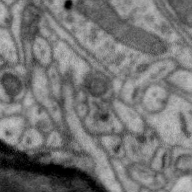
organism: Zebra finch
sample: Brain